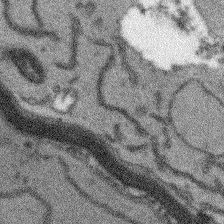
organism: Arabidopsis thaliana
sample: Root tip